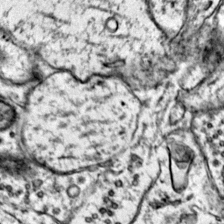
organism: Mouse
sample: Primary visual cortex